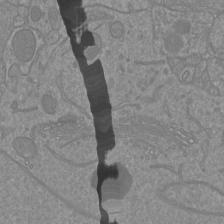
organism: Mouse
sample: Cortical neurons